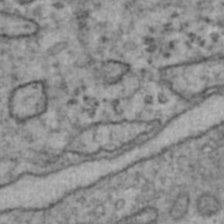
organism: Human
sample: Blood